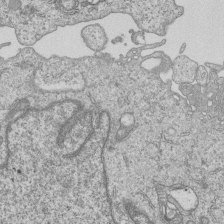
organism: Human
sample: MDA-MB-231 cells